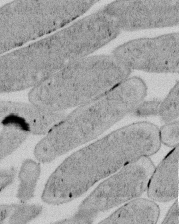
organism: E. coli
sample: Bacterial nucleoid